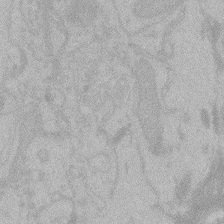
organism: Zebrafish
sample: Macrophage infected with Toxoplasma gondii